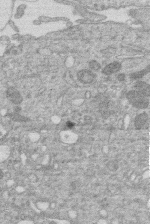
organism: Human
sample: Macrophage cells